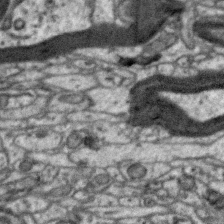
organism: Zebra finch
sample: Brain